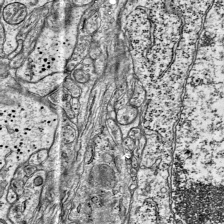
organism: Mouse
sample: Visual Cortex